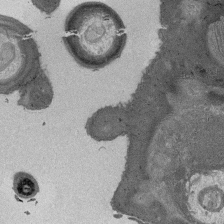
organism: Drosophila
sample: Antenna